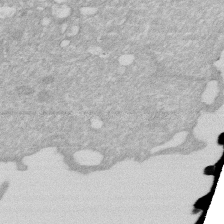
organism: Human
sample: HIV infected U937 cells